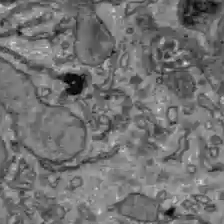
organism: C57BL Mouse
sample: Liver